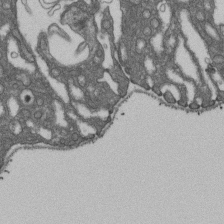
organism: Drosophila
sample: Nephrocyte